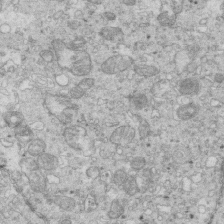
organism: Mouse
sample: Multiciliated cells